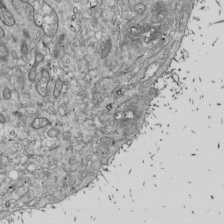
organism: Drosophila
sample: Cell division; meiosis; drosophila spermatocytes